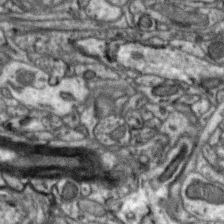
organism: Zebra finch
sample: Brain